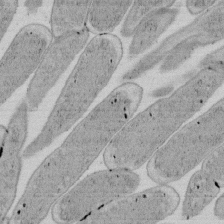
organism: E. coli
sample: Bacterial nucleoid